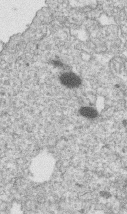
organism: Human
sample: HeLa cell HIV synapse